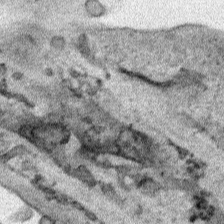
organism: Human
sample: Mitochondria in HCT116 cells